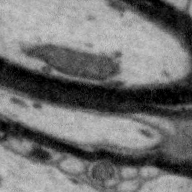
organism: Zebra finch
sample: Brain